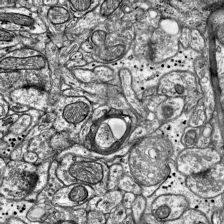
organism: Mouse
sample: Visual Cortex